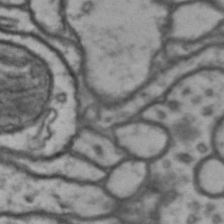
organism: Drosophila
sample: Brain